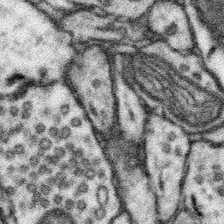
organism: Mouse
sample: Somatosensory cortex neuropil